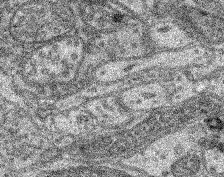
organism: Mouse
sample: Retina